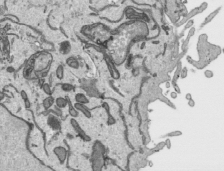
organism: Human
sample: Mitochondria in HCT116 cells